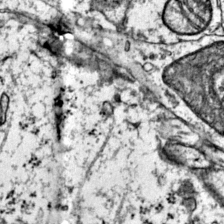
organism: Mouse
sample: Primary visual cortex